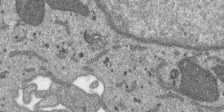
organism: Human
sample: Lung epithelial cells infected with SARS-CoV-2